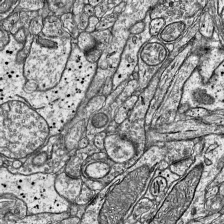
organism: Mouse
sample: Visual Cortex